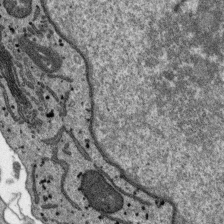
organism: Human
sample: Lung epithelial cells, uninfected (mock) control